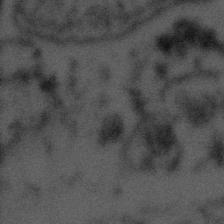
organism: Tuwongella immobilis